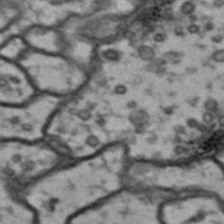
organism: Drosophila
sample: Brain